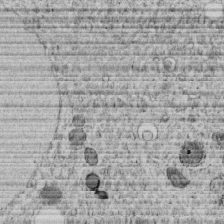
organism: C. elegans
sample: C. elegans embryo early stage